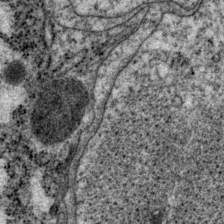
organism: P. pacificus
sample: Pharynx